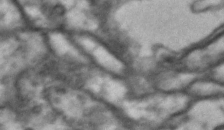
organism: Drosophila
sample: Brain